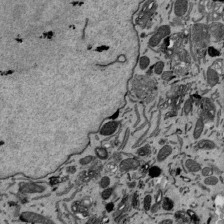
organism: Mouse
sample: ED-1 cell nuclei; centrioles